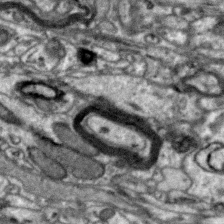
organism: Zebra finch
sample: Brain